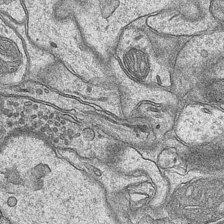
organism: Mouse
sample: CA1 Hippocampus